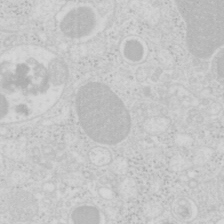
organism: Mouse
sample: Pancreas